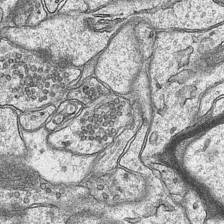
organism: Mouse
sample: CA1 Hippocampus